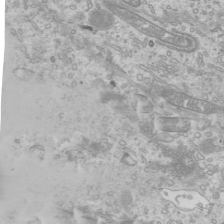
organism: Mouse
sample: Cilia; mouse epididymis